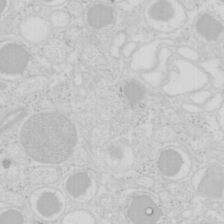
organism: Mouse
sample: Pancreas